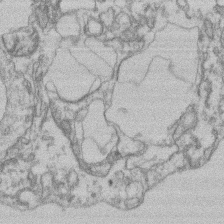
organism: Mouse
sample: T cell stromal cell synapse